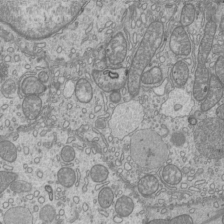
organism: Mouse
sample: Cilia; mouse epididymis